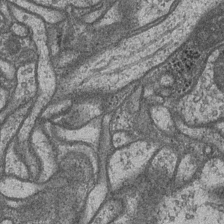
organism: Drosophila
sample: Optic medulla